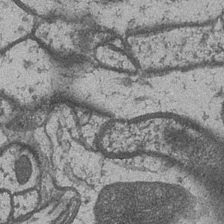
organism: Drosophila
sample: Optic medulla